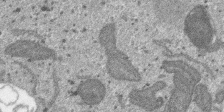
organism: Human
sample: Lung epithelial cells infected with SARS-CoV-2